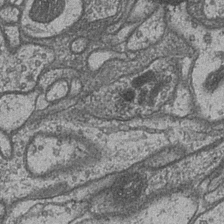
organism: Drosophila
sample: Optic medulla